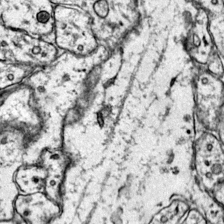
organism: Mouse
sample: Primary visual cortex